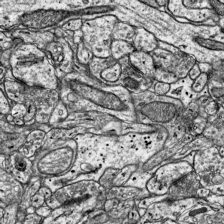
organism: Mouse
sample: Visual Cortex